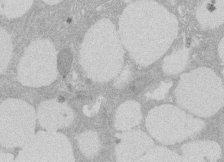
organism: Rat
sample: Salivary granule